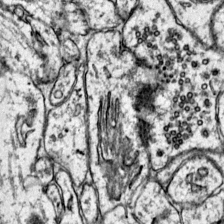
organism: Mouse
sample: Primary visual cortex